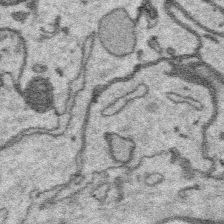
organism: Platynereis dumerilii